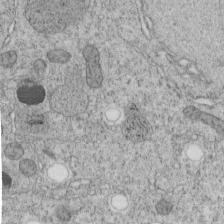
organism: C. elegans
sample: C. elegans embryo early stage